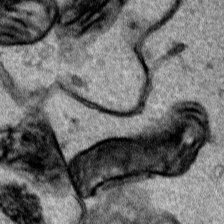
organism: Human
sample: Mitochondria in HCT116 cells